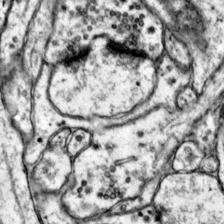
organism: Mouse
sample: Primary visual cortex